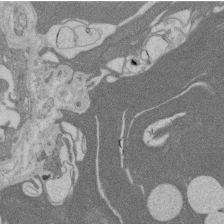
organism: Rat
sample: Salivary granule